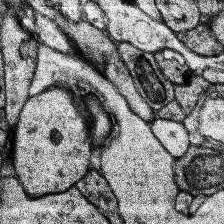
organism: Human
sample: Temporal Lobe